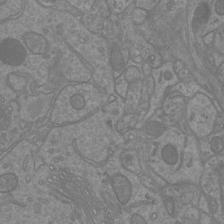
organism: Mouse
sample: Cortical neurons